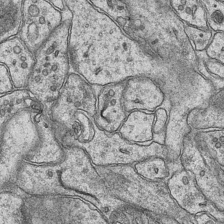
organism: Mouse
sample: CA1 Hippocampus